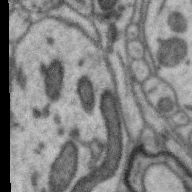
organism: Zebra finch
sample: Brain